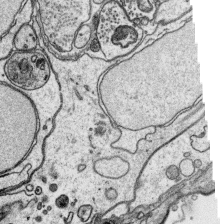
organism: Platynereis dumerilii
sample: Parapodia